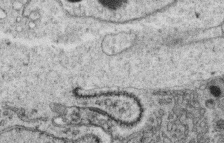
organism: C. elegans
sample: C. elegans oocyte; sperm cells